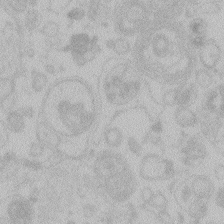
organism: Zebrafish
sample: Macrophage infected with Toxoplasma gondii